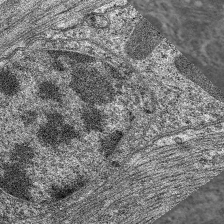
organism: C. elegans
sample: Pharynx